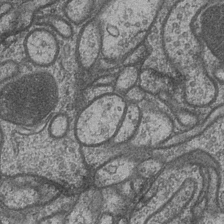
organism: Drosophila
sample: Optic medulla